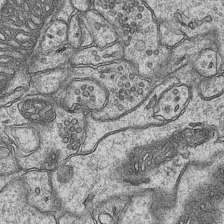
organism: Mouse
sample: CA1 Hippocampus